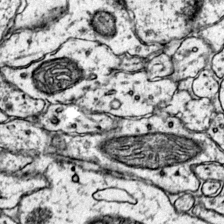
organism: Mouse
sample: Primary visual cortex